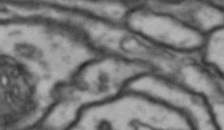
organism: Drosophila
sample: Brain